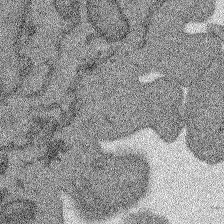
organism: Human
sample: HeLa cells